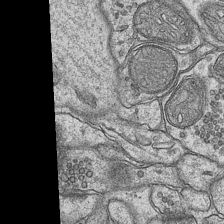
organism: Mouse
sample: CA1 Hippocampus